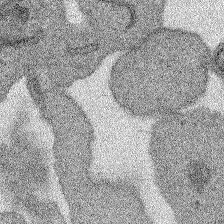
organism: Human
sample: HeLa cells